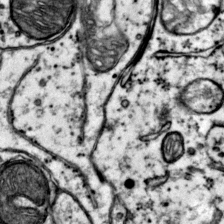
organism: Mouse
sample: Primary visual cortex